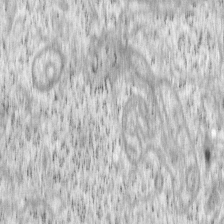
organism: Human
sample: HeLa cells